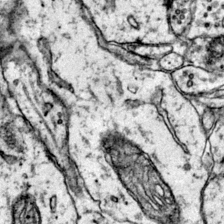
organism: Mouse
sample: Primary visual cortex